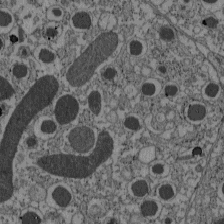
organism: C57BL Mouse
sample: Pancreatic islet